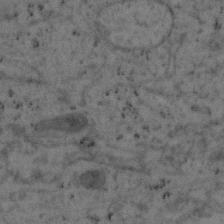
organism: Human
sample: HeLa cells